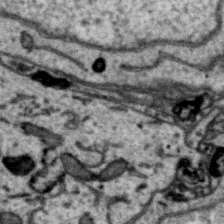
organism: Zebra finch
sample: Brain